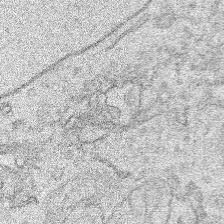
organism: Human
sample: Mitochondria in HCT116 cells